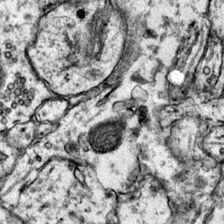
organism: Mouse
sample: Primary visual cortex